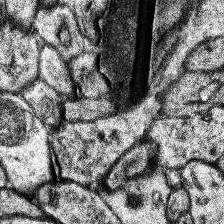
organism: Human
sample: Temporal Lobe